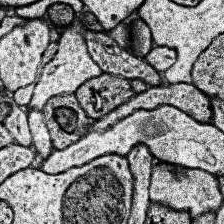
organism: Human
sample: Temporal Lobe